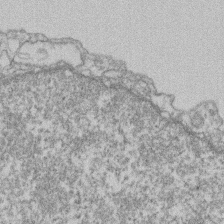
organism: Mouse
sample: T cell stromal cell synapse